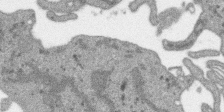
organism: Human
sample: Lung epithelial cells infected with SARS-CoV-2